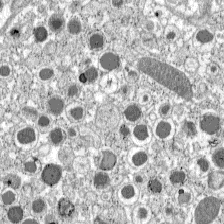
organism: C57BL Mouse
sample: Pancreatic islet